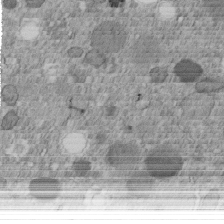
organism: C. elegans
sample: C. elegans embryo early stage